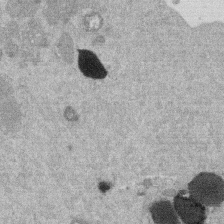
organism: Mouse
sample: Dividing mouse embryo 1 cell stage